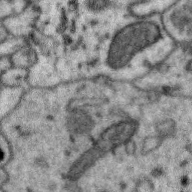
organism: Zebra finch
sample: Brain